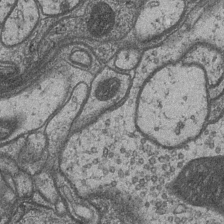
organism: Drosophila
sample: Optic medulla